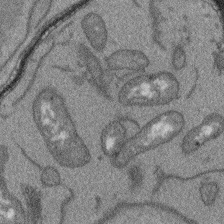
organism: Arabidopsis thaliana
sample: Root tip